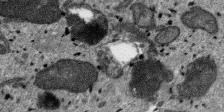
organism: Human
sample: Lung epithelial cells, uninfected (mock) control